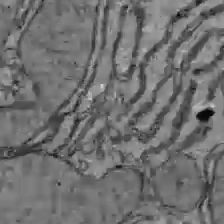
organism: C57BL Mouse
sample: Liver